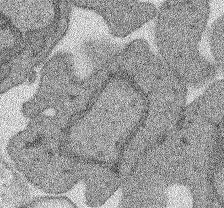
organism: Human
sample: HeLa cells